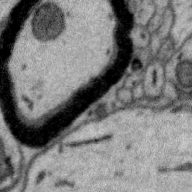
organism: Zebra finch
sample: Brain